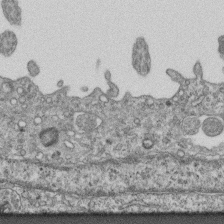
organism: Mouse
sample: Centriole in ependymal cells